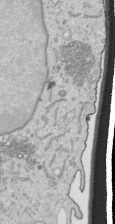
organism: Human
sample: Mitochondria in HCT116 cells